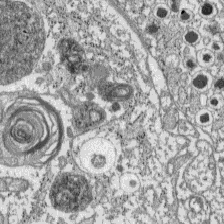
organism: C57BL Mouse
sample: Pancreatic islet